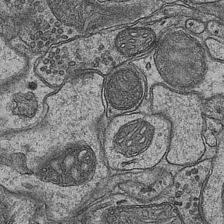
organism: Mouse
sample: CA1 Hippocampus